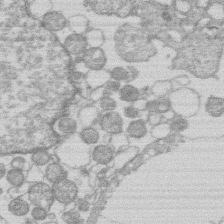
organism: Human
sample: Macrophage cells